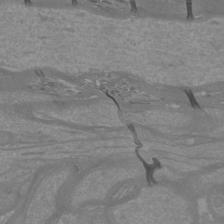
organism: Mouse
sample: Cortical neurons